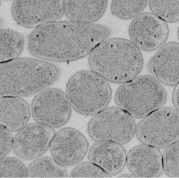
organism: E. coli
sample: Bacterial nucleoid